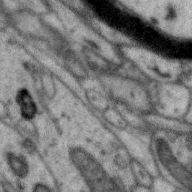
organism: Zebra finch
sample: Brain